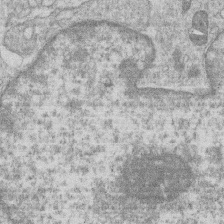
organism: Human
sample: Macrophage cells